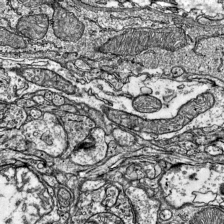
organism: Mouse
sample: Visual Cortex